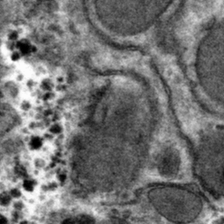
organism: Mouse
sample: Mouse hepatocytes